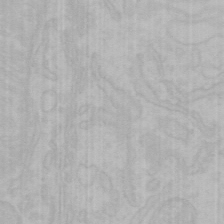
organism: Mouse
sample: Choroid plexus